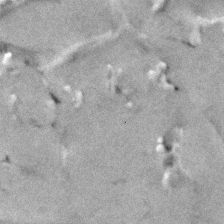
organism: Human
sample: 1205lu cells